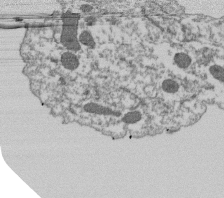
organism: Dictyostelium discoideum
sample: Dictyostelium multivesicular bodies